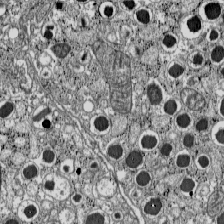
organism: C57BL Mouse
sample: Pancreatic islet